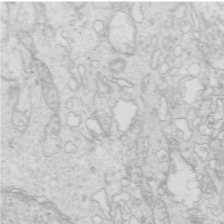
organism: Mouse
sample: Multiciliated cells